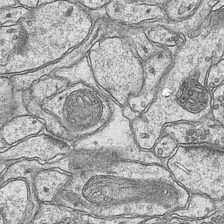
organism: Mouse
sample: CA1 Hippocampus